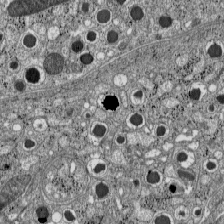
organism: C57BL Mouse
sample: Pancreatic islet